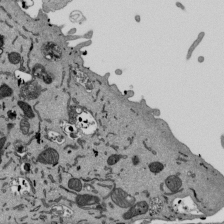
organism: Mouse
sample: ED-1 cell nuclei; centrioles